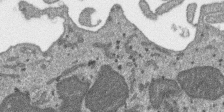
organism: Human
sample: Lung epithelial cells infected with SARS-CoV-2